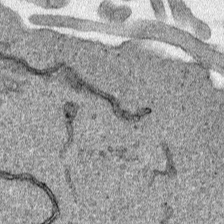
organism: Human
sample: Mitochondria in HCT116 cells